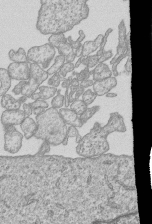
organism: Human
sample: MDA-MB-231 cells